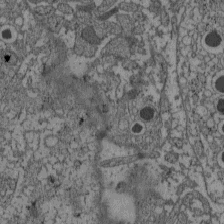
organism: C57BL Mouse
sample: Pancreatic islet